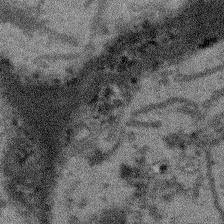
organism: Arabidopsis thaliana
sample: Root tip